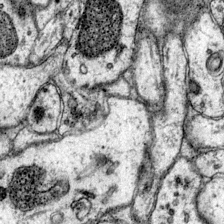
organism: Mouse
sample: Primary visual cortex